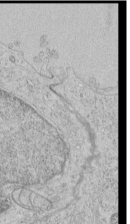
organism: Human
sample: Mitochondria in HCT116 cells